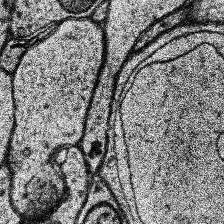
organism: Human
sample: Temporal Lobe